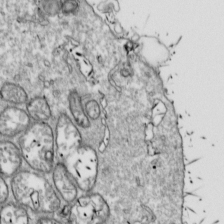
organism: Drosophila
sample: Cell division; meiosis; drosophila spermatocytes